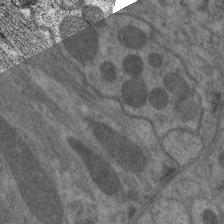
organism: C. elegans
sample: Pharynx